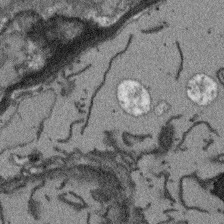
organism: Arabidopsis thaliana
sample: Root tip